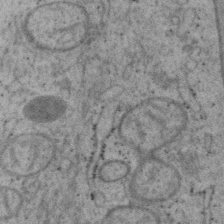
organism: Human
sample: HeLa cells